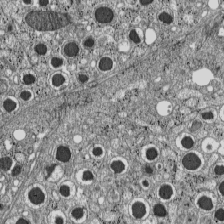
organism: C57BL Mouse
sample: Pancreatic islet